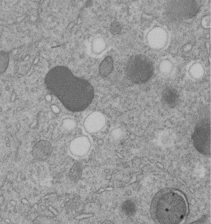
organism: C. elegans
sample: C. elegans embryo early stage